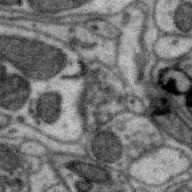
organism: Zebra finch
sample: Brain